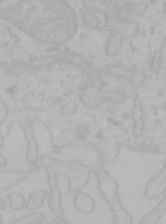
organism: Mouse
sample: Choroid plexus